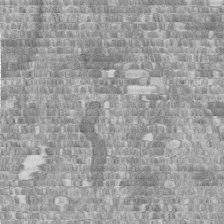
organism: Human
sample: Centriole in fibroblast cells